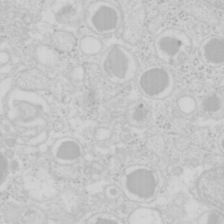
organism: Mouse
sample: Pancreas